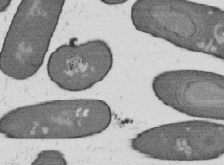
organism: B. subtilis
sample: Bacterial spore